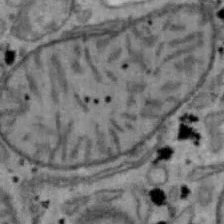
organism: Mouse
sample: Liver